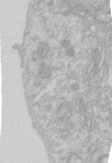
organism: Human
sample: Centriole in RPE cells